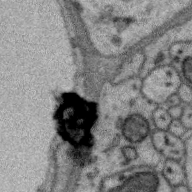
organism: Zebra finch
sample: Brain